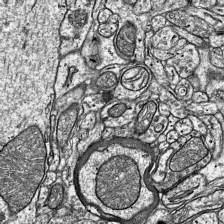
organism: Mouse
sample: Visual Cortex